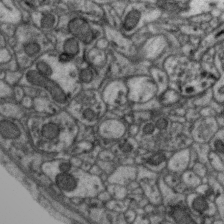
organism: Zebra finch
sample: Brain